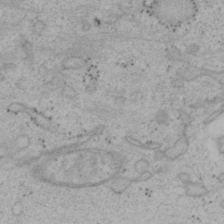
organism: Human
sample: HeLa cells